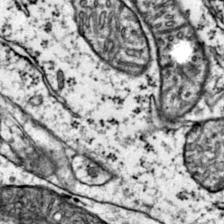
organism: Mouse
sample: Primary visual cortex